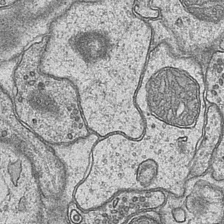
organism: Mouse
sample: CA1 Hippocampus